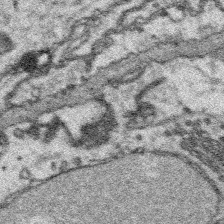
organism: Platynereis dumerilii